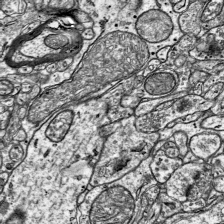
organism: Mouse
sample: Visual Cortex